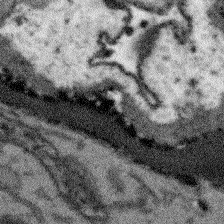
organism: Arabidopsis thaliana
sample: Root tip